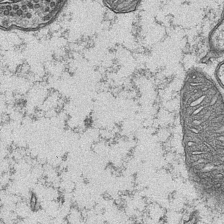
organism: Mouse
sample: CA1 Hippocampus